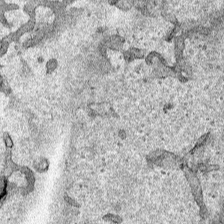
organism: Human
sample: Mitochondria in HCT116 cells